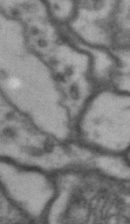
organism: Drosophila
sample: Brain